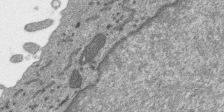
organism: Human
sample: Lung epithelial cells infected with SARS-CoV-2